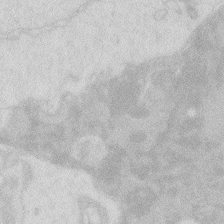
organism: Zebrafish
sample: Macrophage